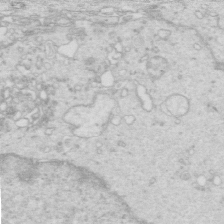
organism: Mouse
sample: Multiciliated cells